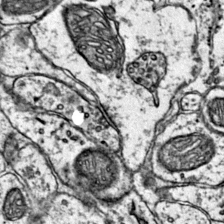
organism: Mouse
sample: Primary visual cortex